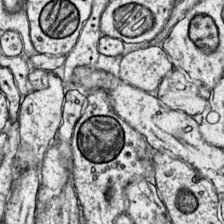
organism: Mouse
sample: Primary visual cortex